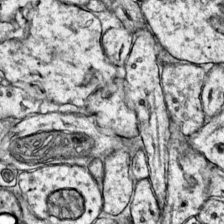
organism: Mouse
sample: Primary visual cortex